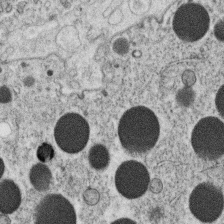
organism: C. elegans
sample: C. elegans oocyte; sperm cells